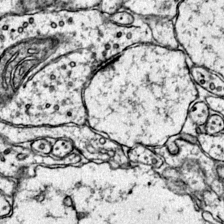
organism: Mouse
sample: Primary visual cortex